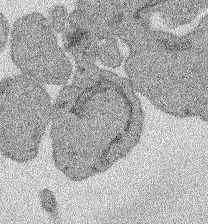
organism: Human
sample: HeLa cells